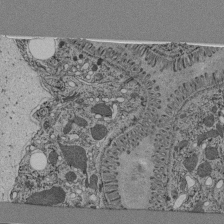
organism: C. elegans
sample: C. elegans pharynx